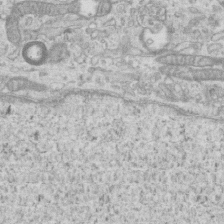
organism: Mouse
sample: Centriole in ependymal cells